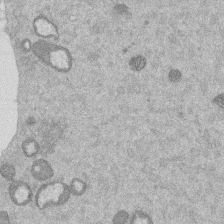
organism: Mouse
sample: Dividing mouse embryo 1 cell stage